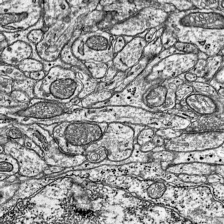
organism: Mouse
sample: Visual Cortex